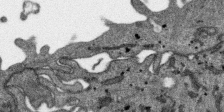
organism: Human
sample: Lung epithelial cells, uninfected (mock) control